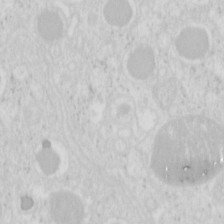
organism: Mouse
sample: Pancreas